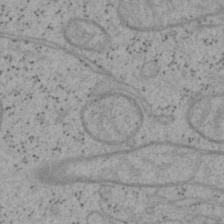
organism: Human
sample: HeLa cells